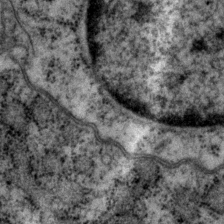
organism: P. pacificus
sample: Pharynx